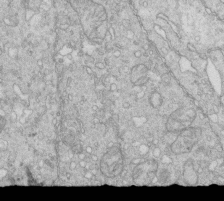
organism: Mouse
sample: Multiciliated cells